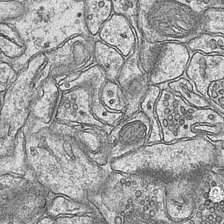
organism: Mouse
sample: CA1 Hippocampus